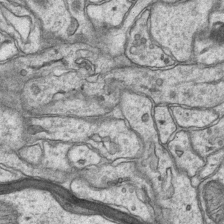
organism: Mouse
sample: CA1 Hippocampus